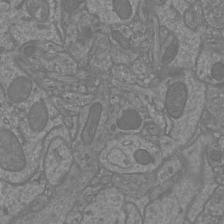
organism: Mouse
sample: Cortical neurons